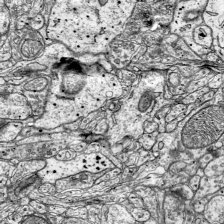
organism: Mouse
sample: Visual Cortex